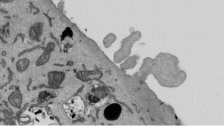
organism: Mouse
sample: ED-1 cell nuclei; centrioles